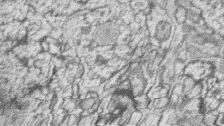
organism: Zebrafish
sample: synaptic ribbons in rod cells and cone cells